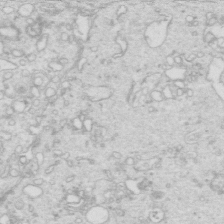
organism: Mouse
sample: Multiciliated cells